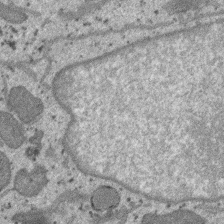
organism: Human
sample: Lung epithelial cells infected with SARS-CoV-2